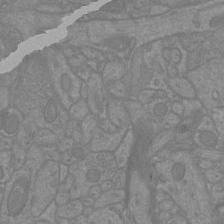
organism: Mouse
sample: Cortical neurons